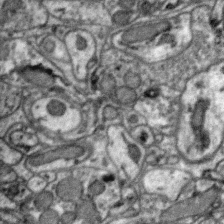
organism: Zebra finch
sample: Brain